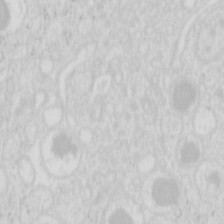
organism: Mouse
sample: Pancreas